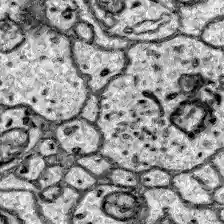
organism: Zebrafish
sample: Brain